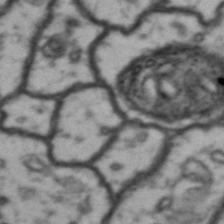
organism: Drosophila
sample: Brain